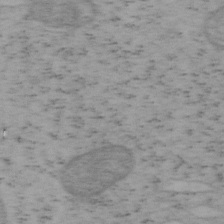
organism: Mouse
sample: OT-I killer T cells with ID8 ovarian cancer cells